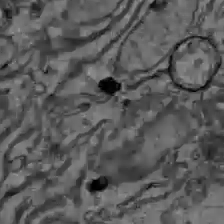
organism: C57BL Mouse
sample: Liver